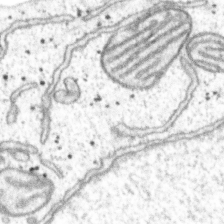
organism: Human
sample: HeLa cells